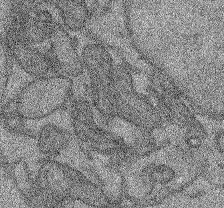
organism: Human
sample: HeLa cells